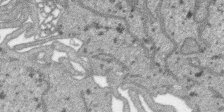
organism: Human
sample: Lung epithelial cells infected with SARS-CoV-2